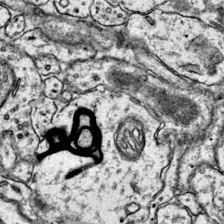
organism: Mouse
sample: Primary visual cortex